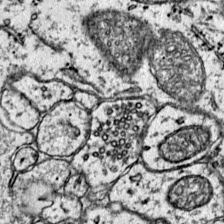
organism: Mouse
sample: Primary visual cortex